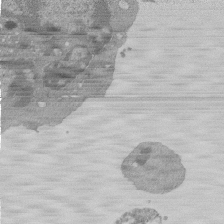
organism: Mouse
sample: Activated Pmel transgenic CD8+ T Cells